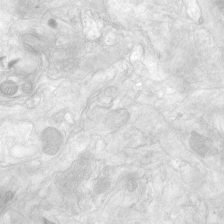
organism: Human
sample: Neocortex